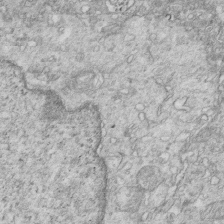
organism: Mouse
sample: Multiciliated cells